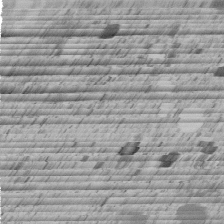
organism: C. elegans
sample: C. elegans embryo early stage